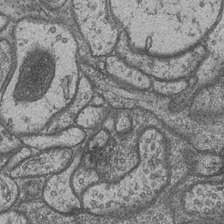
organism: Drosophila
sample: Optic medulla